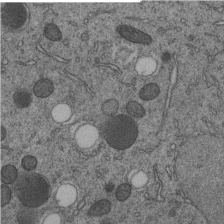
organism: C. elegans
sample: C. elegans embryo early stage